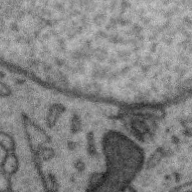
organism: Zebra finch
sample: Brain